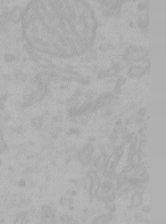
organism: Mouse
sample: Choroid plexus